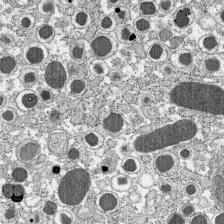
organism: C57BL Mouse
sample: Pancreatic islet